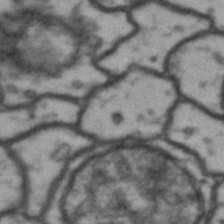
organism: Drosophila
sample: Brain